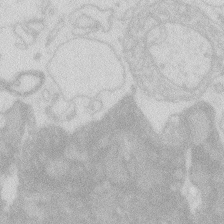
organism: Zebrafish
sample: Macrophage